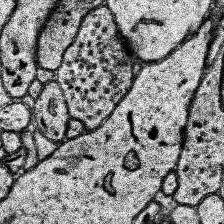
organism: Human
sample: Temporal Lobe